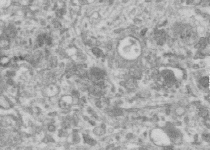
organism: Human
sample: Centriole in RPE cells